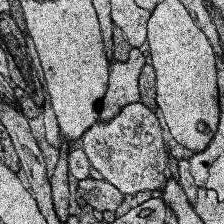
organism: Human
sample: Temporal Lobe